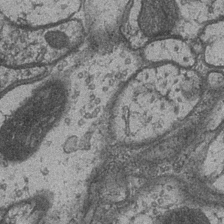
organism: Drosophila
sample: Optic medulla